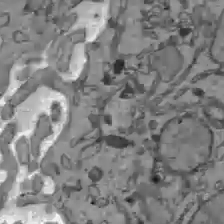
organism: C57BL Mouse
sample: Liver